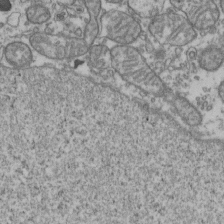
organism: Human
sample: Activated Jurkat CD4+ T cells